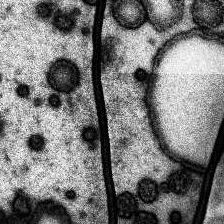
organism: Human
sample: Temporal Lobe